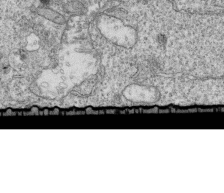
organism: Human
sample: HeLa cell HIV synapse